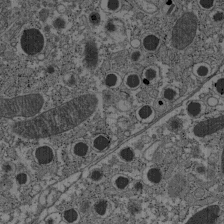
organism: C57BL Mouse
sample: Pancreatic islet